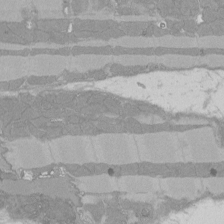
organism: Rat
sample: Left ventricle